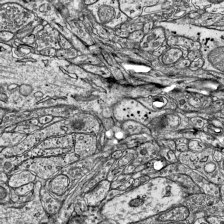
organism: Mouse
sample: Visual Cortex